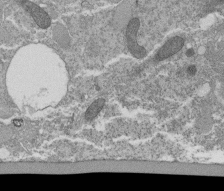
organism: Tetrahymena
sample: Cilia in tetrahymena